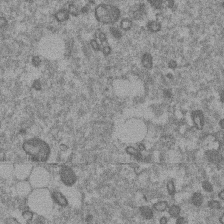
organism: Mouse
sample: Dividing mouse embryo 1 cell stage